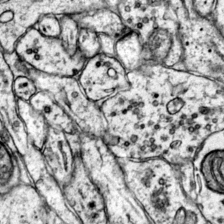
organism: Mouse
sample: Primary visual cortex